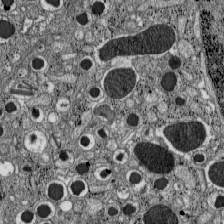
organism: C57BL Mouse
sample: Pancreatic islet